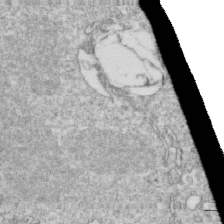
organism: Mouse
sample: Activated OT-1 CD8+ T cells